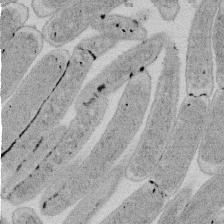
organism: E. coli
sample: Bacterial nucleoid